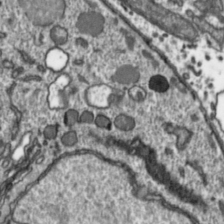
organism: Toxoplasma gondii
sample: Parasites in a vacuole inside a host cell